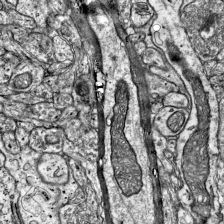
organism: Mouse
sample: Visual Cortex